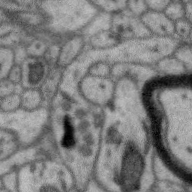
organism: Zebra finch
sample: Brain